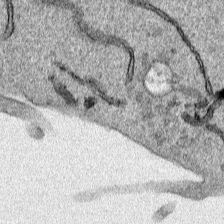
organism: Human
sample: Mitochondria in HCT116 cells